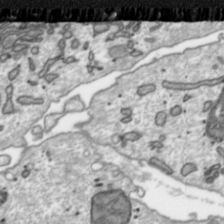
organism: Toxoplasma gondii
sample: Parasites in a vacuole inside a host cell